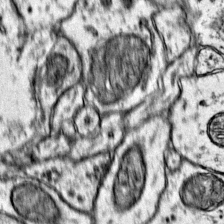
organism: Mouse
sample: Primary visual cortex